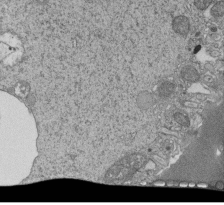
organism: Tetrahymena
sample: Cilia in tetrahymena